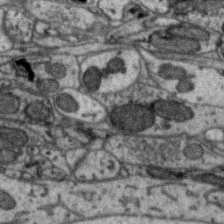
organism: Zebra finch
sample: Brain